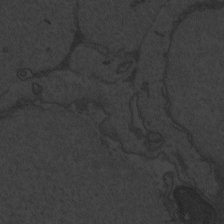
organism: Zebrafish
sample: Macrophage infected with Toxoplasma gondii